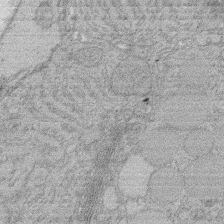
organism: Rat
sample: Salivary granule